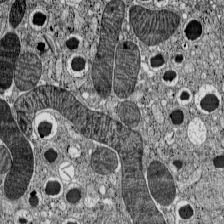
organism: C57BL Mouse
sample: Pancreatic islet